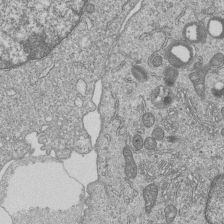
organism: Human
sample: MDA-MB-231 cells